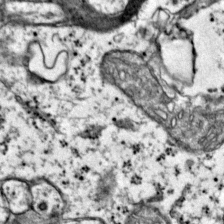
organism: Mouse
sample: Primary visual cortex